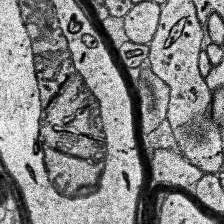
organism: Human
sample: Temporal Lobe